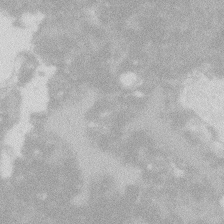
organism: Zebrafish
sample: Macrophage